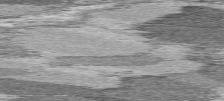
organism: C57BL Mouse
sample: Heart